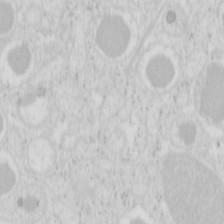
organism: Mouse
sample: Pancreas